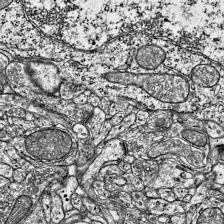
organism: Mouse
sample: Visual Cortex